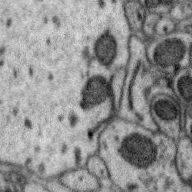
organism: Zebra finch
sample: Brain